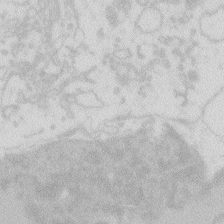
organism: Zebrafish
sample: Macrophage